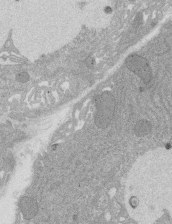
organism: Rat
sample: Salivary granule